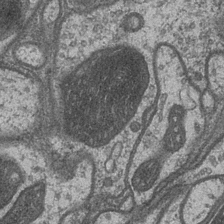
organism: Drosophila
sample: Optic medulla